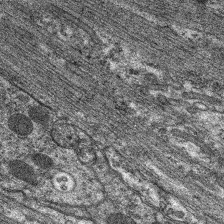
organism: C. elegans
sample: Pharynx